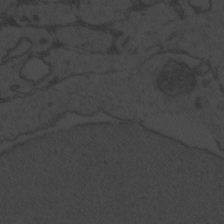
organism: Zebrafish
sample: Macrophage infected with Toxoplasma gondii